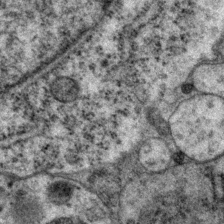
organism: P. pacificus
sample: Pharynx